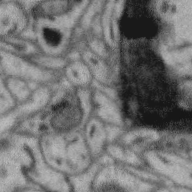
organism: Zebra finch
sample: Brain